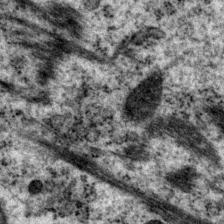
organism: P. pacificus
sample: Pharynx